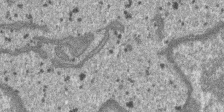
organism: Human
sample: Lung epithelial cells infected with SARS-CoV-2